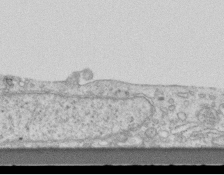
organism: Mouse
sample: Centriole in ependymal cells